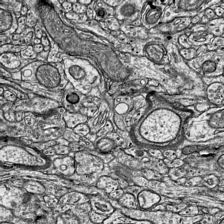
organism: Mouse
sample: Visual Cortex